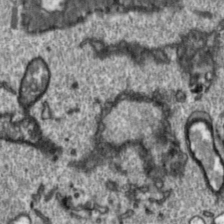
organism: Toxoplasma gondii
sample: Parasites in a vacuole inside a host cell